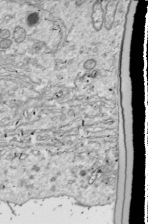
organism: Drosophila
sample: Cell division; meiosis; drosophila spermatocytes